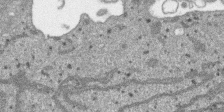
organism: Human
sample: Lung epithelial cells infected with SARS-CoV-2